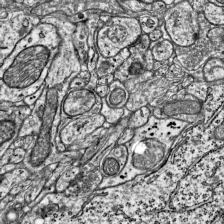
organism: Mouse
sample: Visual Cortex